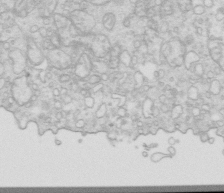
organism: Mouse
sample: Multiciliated cells